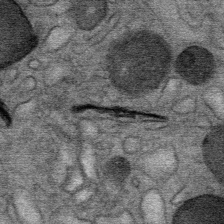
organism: Mouse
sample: Mouse Salivary gland